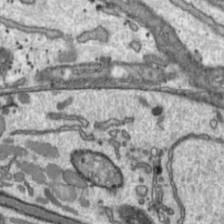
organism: Toxoplasma gondii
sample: Parasites in a vacuole inside a host cell